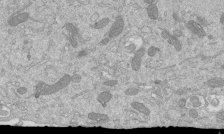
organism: Mouse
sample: ED-1 cell nuclei; centrioles